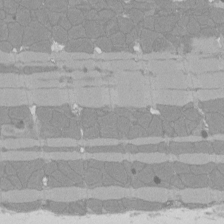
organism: Rat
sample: Left ventricle